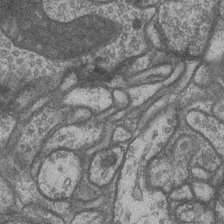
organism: Drosophila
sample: Optic medulla